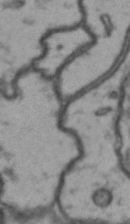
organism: Drosophila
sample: Brain